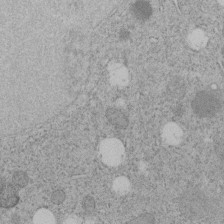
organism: C. elegans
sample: C. elegans embryo early stage